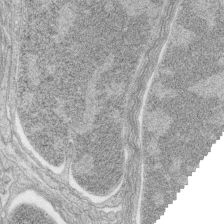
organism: Zebrafish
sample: synaptic ribbons in rod cells and cone cells